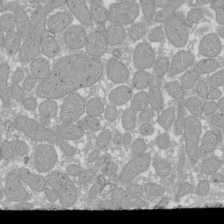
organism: Xenopus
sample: Cilia; centrioles in frog embryo cells